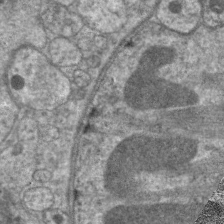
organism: C. elegans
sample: Pharynx